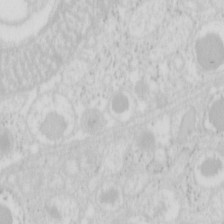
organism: Mouse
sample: Pancreas